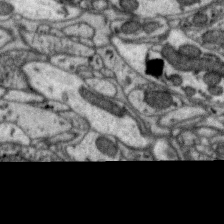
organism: Zebra finch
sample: Brain